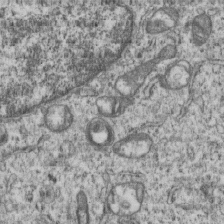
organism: Human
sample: MDA-MB-231 cells